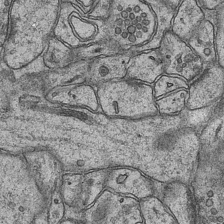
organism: Mouse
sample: CA1 Hippocampus